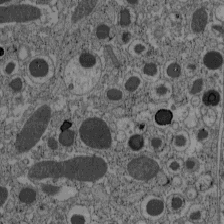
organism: C57BL Mouse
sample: Pancreatic islet